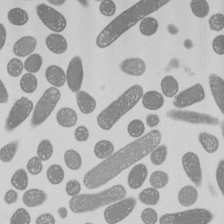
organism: E. coli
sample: Bacterial nucleoid